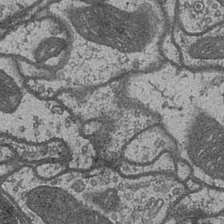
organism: Drosophila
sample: Optic medulla